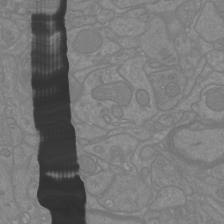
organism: Mouse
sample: Cortical neurons